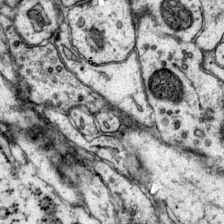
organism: Mouse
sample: Primary visual cortex